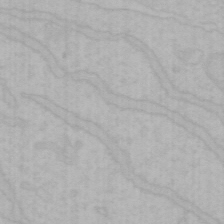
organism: Mouse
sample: Choroid plexus